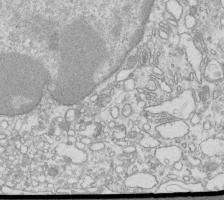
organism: Mouse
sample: Macrophages